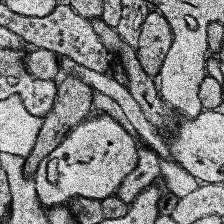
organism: Human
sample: Temporal Lobe